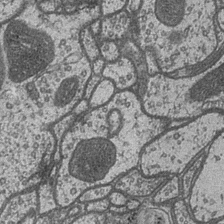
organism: Drosophila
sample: Optic medulla